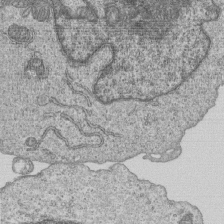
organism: Human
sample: MDA-MB-231 cells